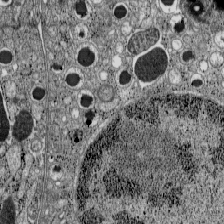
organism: C57BL Mouse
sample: Pancreatic islet